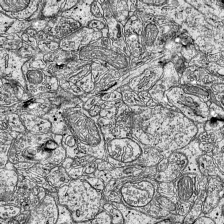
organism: Mouse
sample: Visual Cortex